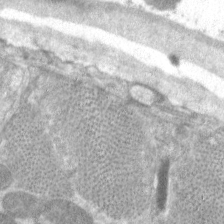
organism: C. elegans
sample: Pharynx